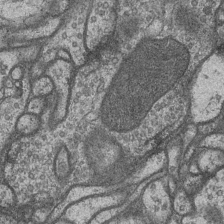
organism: Drosophila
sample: Optic medulla